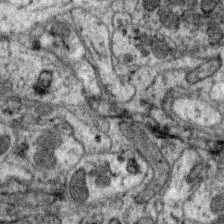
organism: Zebra finch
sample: Brain